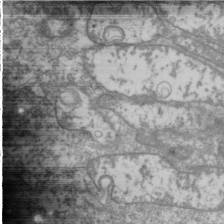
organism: Drosophila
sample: Cell division; meiosis; drosophila spermatocytes